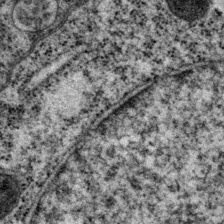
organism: P. pacificus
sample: Pharynx